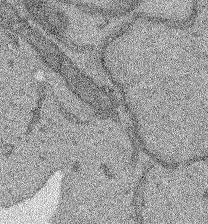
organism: Human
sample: HeLa cells